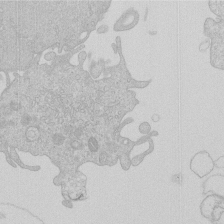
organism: Human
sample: Macrophage cells